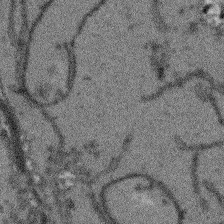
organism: Arabidopsis thaliana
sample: Root tip